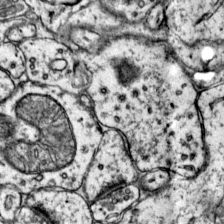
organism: Mouse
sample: Primary visual cortex